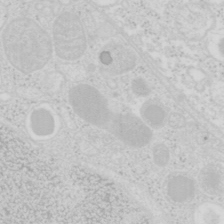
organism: Mouse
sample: Pancreas